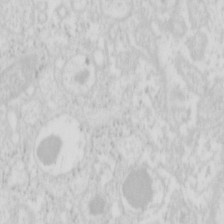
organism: Mouse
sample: Pancreas